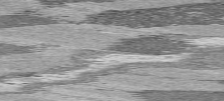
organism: C57BL Mouse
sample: Heart